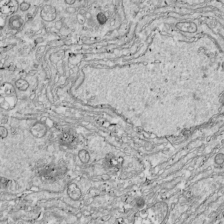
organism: Drosophila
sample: Cell division; meiosis; drosophila spermatocytes